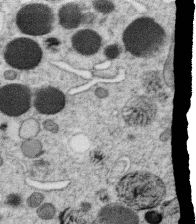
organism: C. elegans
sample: C. elegans oocyte; sperm cells